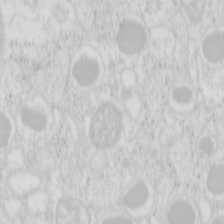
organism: Mouse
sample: Pancreas